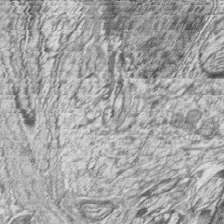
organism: Zebrafish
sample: synaptic ribbons in rod cells and cone cells